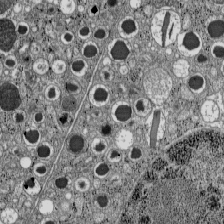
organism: C57BL Mouse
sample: Pancreatic islet